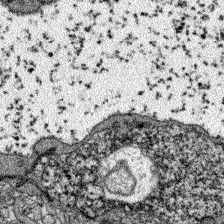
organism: Zebrafish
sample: Larval olfactory bulb